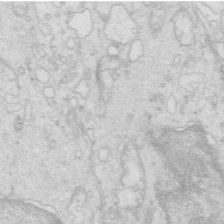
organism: Mouse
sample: Multiciliated cells